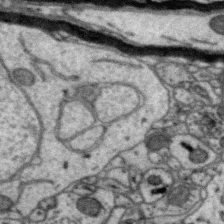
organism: Zebra finch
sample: Brain